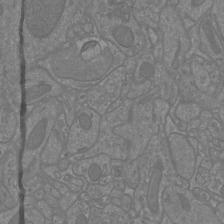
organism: Mouse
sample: Cortical neurons